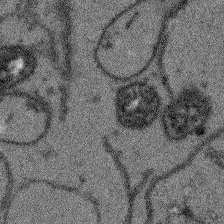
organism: Arabidopsis thaliana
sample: Root tip